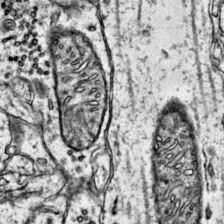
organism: Mouse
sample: Primary visual cortex